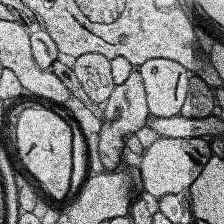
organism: Human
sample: Temporal Lobe